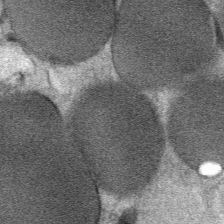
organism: Mouse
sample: Mouse Salivary gland